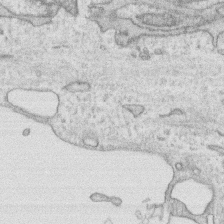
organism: Human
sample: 1205lu cells